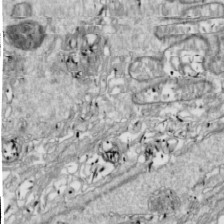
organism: Drosophila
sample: Cell division; meiosis; drosophila spermatocytes